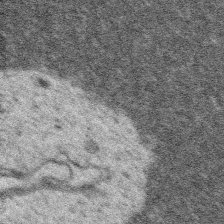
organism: Platynereis dumerilii